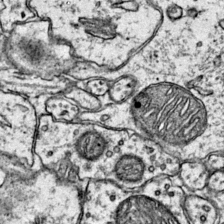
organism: Mouse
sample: Primary visual cortex